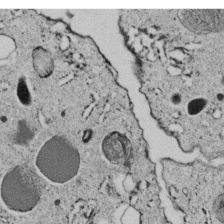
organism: C. elegans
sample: C. elegans embryo early stage